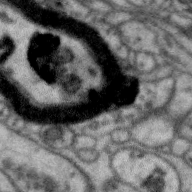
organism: Zebra finch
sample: Brain